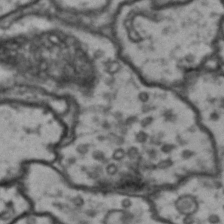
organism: Drosophila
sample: Brain